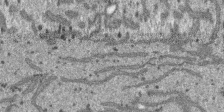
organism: Human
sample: Lung epithelial cells infected with SARS-CoV-2